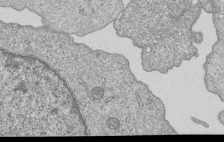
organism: Human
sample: MDA-MB-231 cells